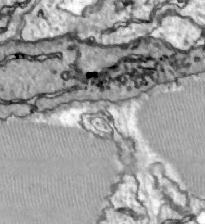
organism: Zebrafish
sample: Actinotrichia fibers